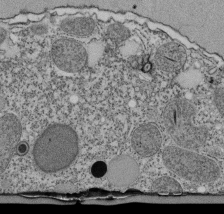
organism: Tetrahymena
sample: Cilia in tetrahymena